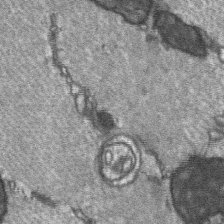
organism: C57BL Mouse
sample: Soleus